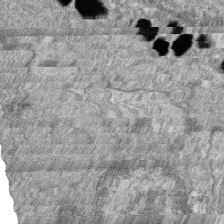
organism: Zebrafish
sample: Cilia; retinal pigment epithelium